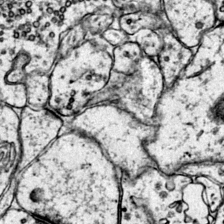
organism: Mouse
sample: Primary visual cortex